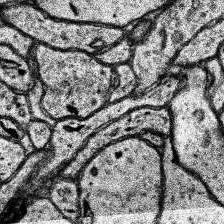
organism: Human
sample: Temporal Lobe